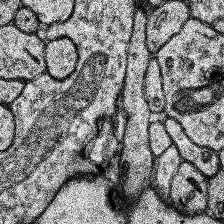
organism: Human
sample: Temporal Lobe